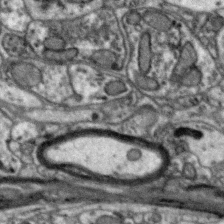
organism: Zebra finch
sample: Brain